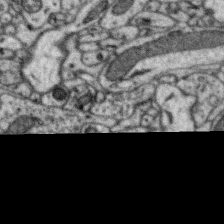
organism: Zebra finch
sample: Brain